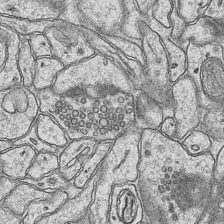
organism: Mouse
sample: CA1 Hippocampus